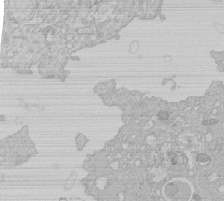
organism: Human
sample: Macrophage cells